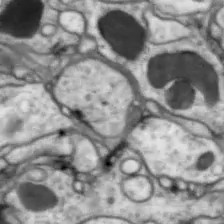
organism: Drosophila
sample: Optic lobe